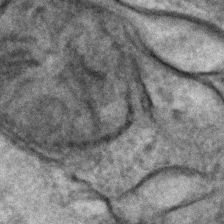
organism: C. elegans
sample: C. elegans embryo